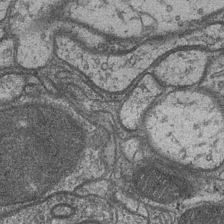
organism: Drosophila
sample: Optic medulla